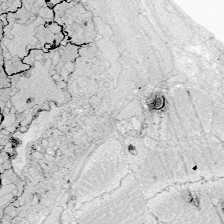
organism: Zebrafish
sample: Whole-Brain